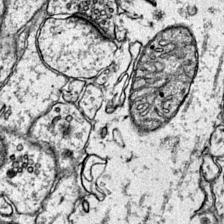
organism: Mouse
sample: Primary visual cortex